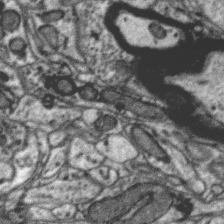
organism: Zebra finch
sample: Brain